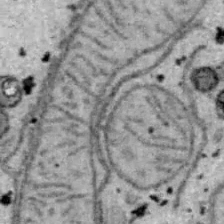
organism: Mouse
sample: Liver from an obese (ob/ob) mouse